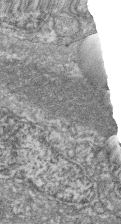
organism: Zebrafish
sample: Cilia; retinal pigment epithelium